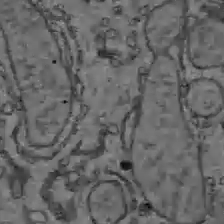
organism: C57BL Mouse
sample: Liver